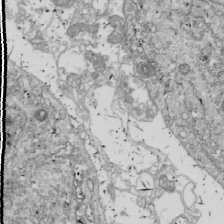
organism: Drosophila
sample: Cell division; meiosis; drosophila spermatocytes